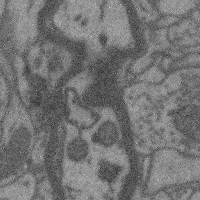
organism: Mouse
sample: Cerebral cortex